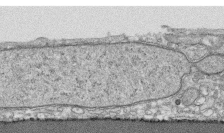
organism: Human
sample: CRL-1474